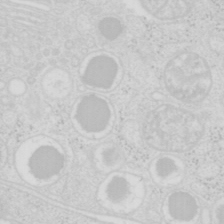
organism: Mouse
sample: Pancreas